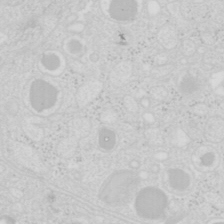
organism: Mouse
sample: Pancreas